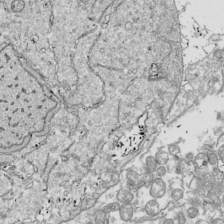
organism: Drosophila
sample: Cell division; meiosis; drosophila spermatocytes